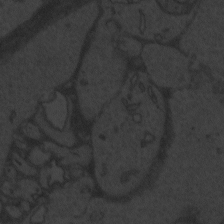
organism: Zebrafish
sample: Macrophage infected with Toxoplasma gondii